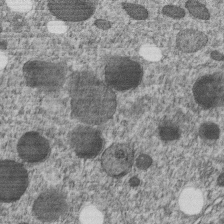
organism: C. elegans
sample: C. elegans embryo early stage